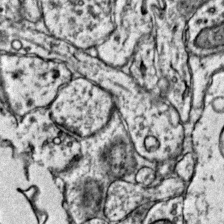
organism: Mouse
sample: Primary visual cortex